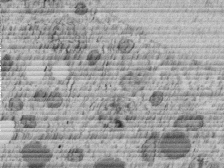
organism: C. elegans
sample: C. elegans embryo early stage